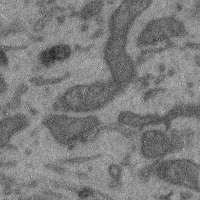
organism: Mouse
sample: Cerebral cortex